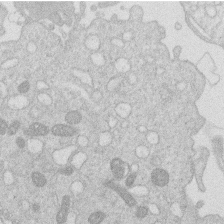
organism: Human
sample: Macrophage cells